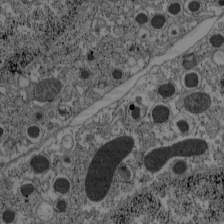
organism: C57BL Mouse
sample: Pancreatic islet